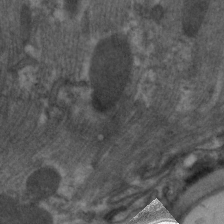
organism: C. elegans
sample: Pharynx